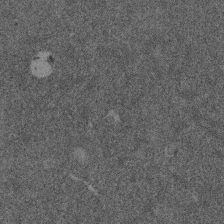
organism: Mouse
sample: Dividing mouse embryo 1 cell stage